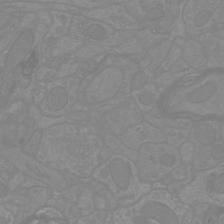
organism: Mouse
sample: Cortical neurons